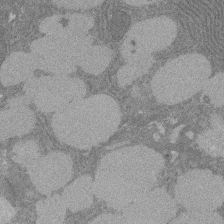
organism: Rat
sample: Salivary granule